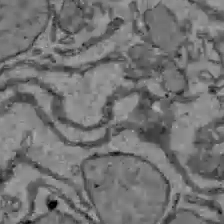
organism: C57BL Mouse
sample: Liver